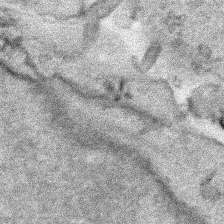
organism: Human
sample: Mitochondria in HCT116 cells